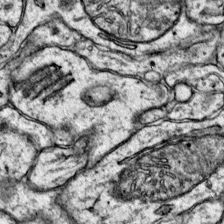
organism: Mouse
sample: Primary visual cortex